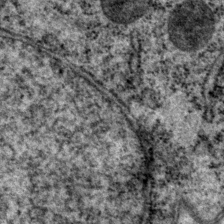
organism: P. pacificus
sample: Pharynx